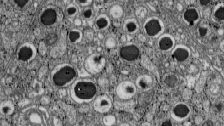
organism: C57BL Mouse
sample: Pancreatic islet